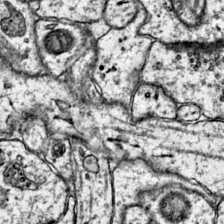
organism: Mouse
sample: Primary visual cortex